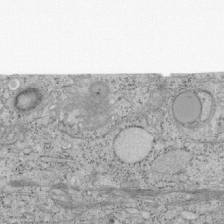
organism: Human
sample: HeLa cells